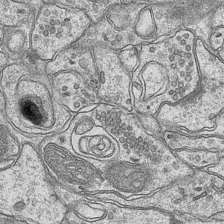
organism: Mouse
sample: CA1 Hippocampus